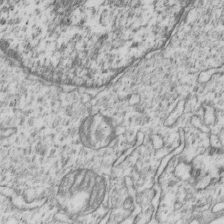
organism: Human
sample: MDA-MB-231 cells